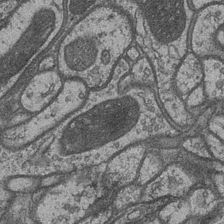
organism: Drosophila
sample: Optic medulla